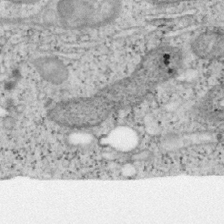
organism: Mouse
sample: OT-I killer T cells with ID8 ovarian cancer cells